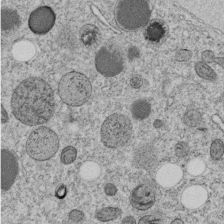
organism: C. elegans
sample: C. elegans embryo early stage